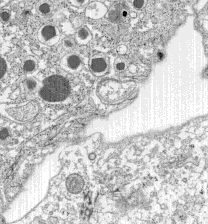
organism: C57BL Mouse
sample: Pancreatic islet